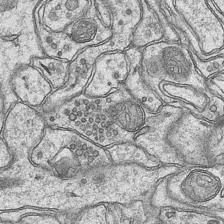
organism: Mouse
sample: CA1 Hippocampus